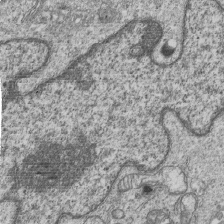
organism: Human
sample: MDA-MB-231 cells